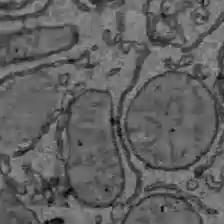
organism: C57BL Mouse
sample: Liver